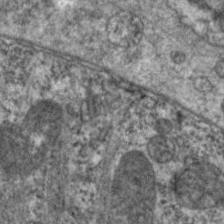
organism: C. elegans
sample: Pharynx